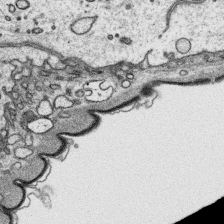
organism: Platynereis dumerilii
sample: Parapodia